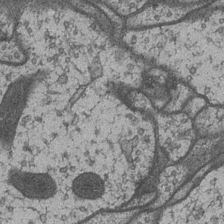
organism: Drosophila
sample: Optic medulla